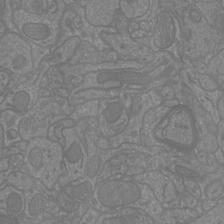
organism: Mouse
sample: Cortical neurons